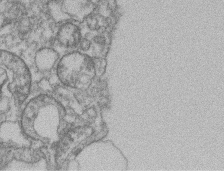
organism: Mouse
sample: T cell stromal cell synapse